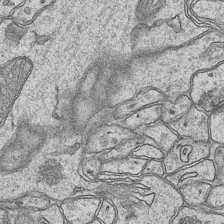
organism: Mouse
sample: CA1 Hippocampus